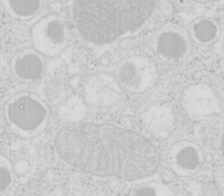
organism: Mouse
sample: Pancreas